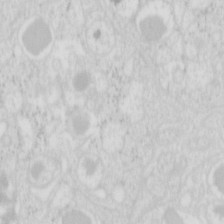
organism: Mouse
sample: Pancreas